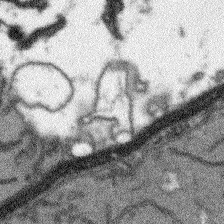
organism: Arabidopsis thaliana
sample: Root tip